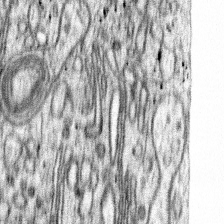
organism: Human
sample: HeLa cells